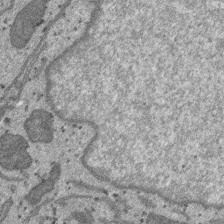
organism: Human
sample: Lung epithelial cells infected with SARS-CoV-2